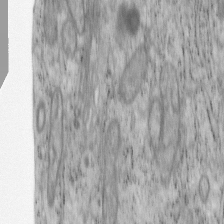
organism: Human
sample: HeLa cells